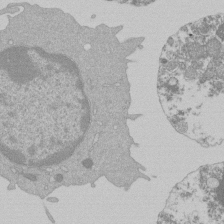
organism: Mouse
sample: Activated Pmel transgenic CD8+ T Cells